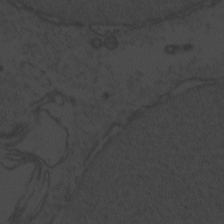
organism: Zebrafish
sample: Macrophage infected with Toxoplasma gondii